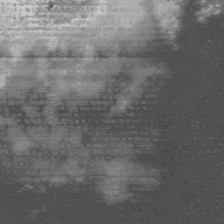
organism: Mouse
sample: Cancer cell death in ED-1 cells